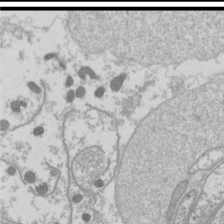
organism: Drosophila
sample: Cell division; meiosis; drosophila spermatocytes